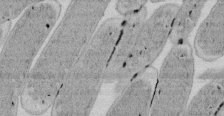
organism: E. coli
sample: Bacterial nucleoid